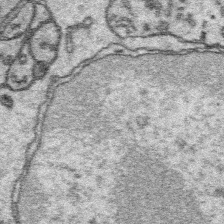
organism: Platynereis dumerilii